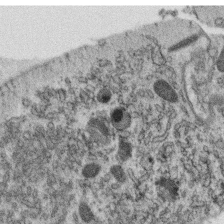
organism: C. elegans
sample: C. elegans oocyte; sperm cells